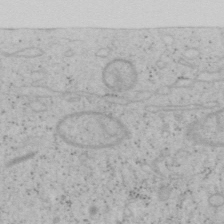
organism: Human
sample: HeLa cells